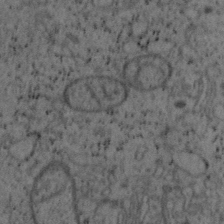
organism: Human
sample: HeLa cells